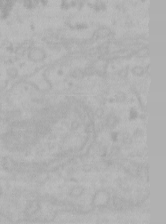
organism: Mouse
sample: Choroid plexus